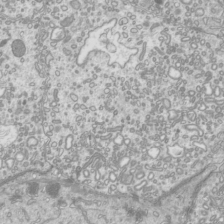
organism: Mouse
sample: Cilia; mouse epididymis